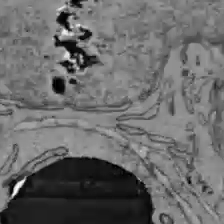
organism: C57BL Mouse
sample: Liver